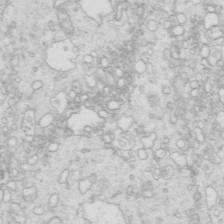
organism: Mouse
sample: Multiciliated cells